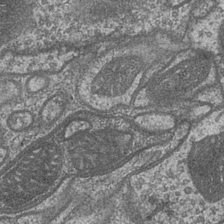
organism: Drosophila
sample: Optic medulla